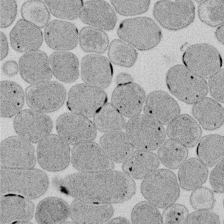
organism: E. coli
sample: Bacterial nucleoid